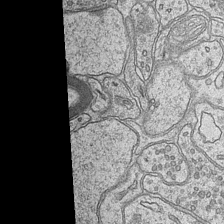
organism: Mouse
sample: CA1 Hippocampus